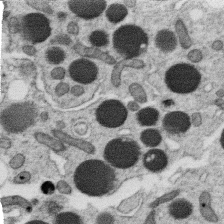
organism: C. elegans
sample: C. elegans oocyte; sperm cells